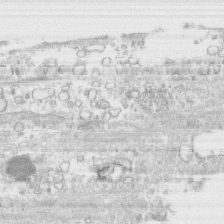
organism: Human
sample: CRL-1474